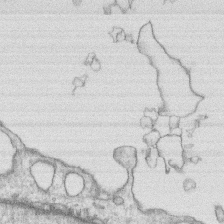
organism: Human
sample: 1205lu cells